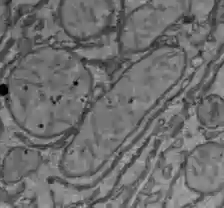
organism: C57BL Mouse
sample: Liver